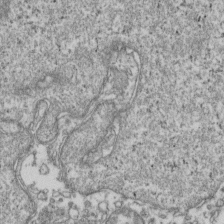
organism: Human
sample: Activated Jurkat CD4+ T cells